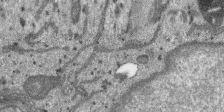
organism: Human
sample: Lung epithelial cells infected with SARS-CoV-2